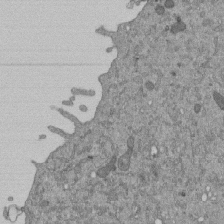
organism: Mouse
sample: ED-1 cell nuclei; centrioles